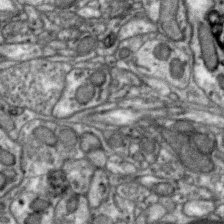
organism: Zebra finch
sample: Brain